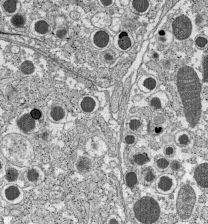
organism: C57BL Mouse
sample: Pancreatic islet